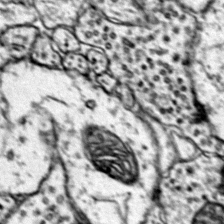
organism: Mouse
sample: Primary visual cortex